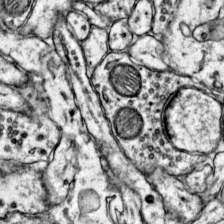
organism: Mouse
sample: Primary visual cortex